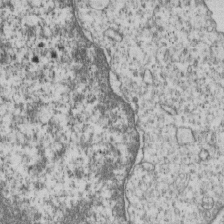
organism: Human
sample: MDA-MB-231 cells